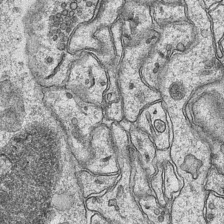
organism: Mouse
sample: CA1 Hippocampus